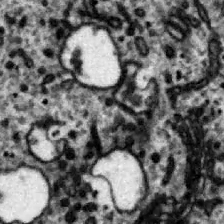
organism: Human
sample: HeLa cells